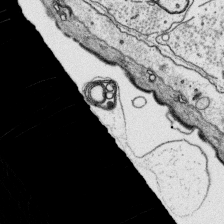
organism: Platynereis dumerilii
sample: Parapodia